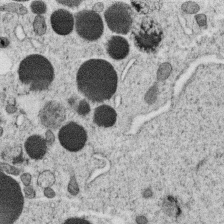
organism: C. elegans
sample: C. elegans oocyte; sperm cells